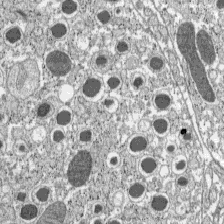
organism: C57BL Mouse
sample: Pancreatic islet